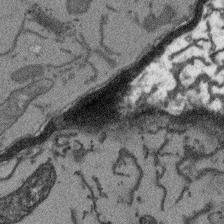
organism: Arabidopsis thaliana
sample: Root tip